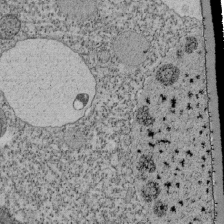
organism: Tetrahymena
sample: Cilia in tetrahymena